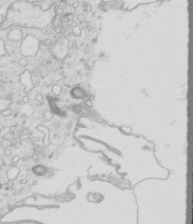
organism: Mouse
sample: Multiciliated cells